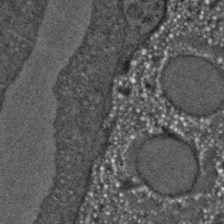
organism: C. elegans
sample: C. elegans embryo